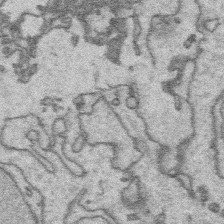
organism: Platynereis dumerilii